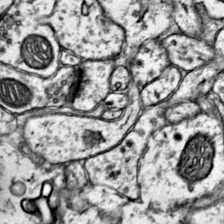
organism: Mouse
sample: Primary visual cortex